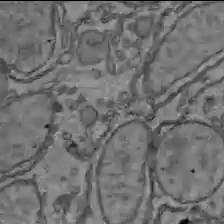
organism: C57BL Mouse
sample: Liver